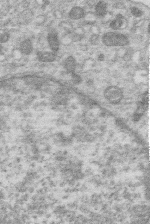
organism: Human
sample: Macrophage cells